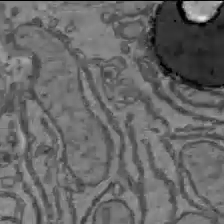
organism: C57BL Mouse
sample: Liver